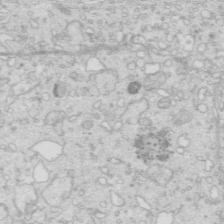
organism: Mouse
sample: Multiciliated cells